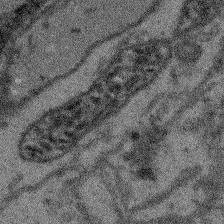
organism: Arabidopsis thaliana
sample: Root tip